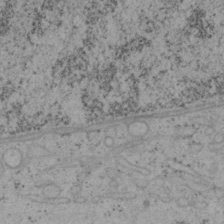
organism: Human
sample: HeLa cells